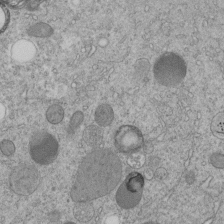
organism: C. elegans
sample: C. elegans embryo early stage